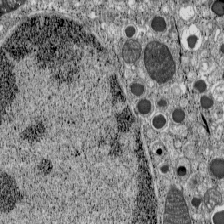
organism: C57BL Mouse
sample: Pancreatic islet